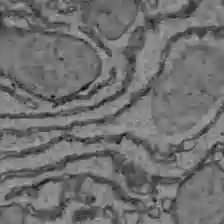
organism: C57BL Mouse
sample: Liver